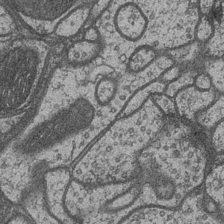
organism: Drosophila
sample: Optic medulla